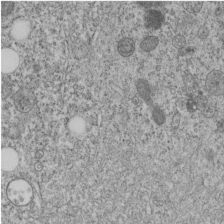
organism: C. elegans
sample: C. elegans embryo early stage